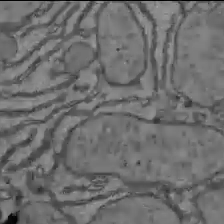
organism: C57BL Mouse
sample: Liver